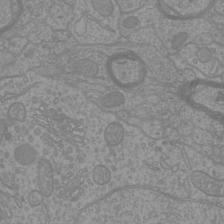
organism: Mouse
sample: Cortical neurons